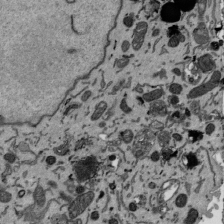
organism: Mouse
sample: ED-1 cell nuclei; centrioles